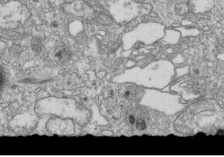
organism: Human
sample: HeLa cell HIV synapse